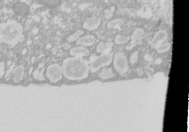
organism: Xenopus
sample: Cilia; centrioles in frog embryo cells